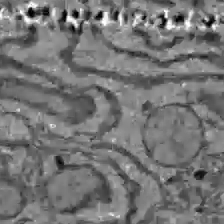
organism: C57BL Mouse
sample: Liver